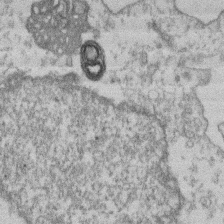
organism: Mouse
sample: T cell stromal cell synapse